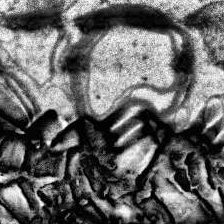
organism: Human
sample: Temporal Lobe